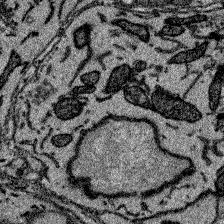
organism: Zebrafish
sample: Larval olfactory bulb